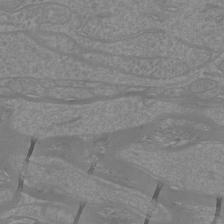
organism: Mouse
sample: Cortical neurons